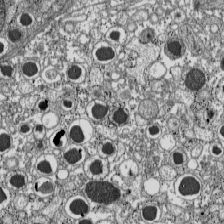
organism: C57BL Mouse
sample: Pancreatic islet